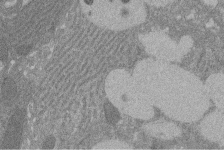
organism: Rat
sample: Salivary granule